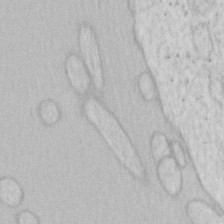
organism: Human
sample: HeLa cells